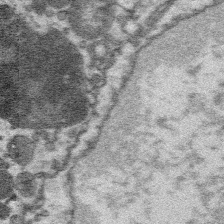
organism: Platynereis dumerilii